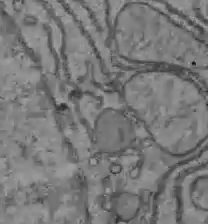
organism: C57BL Mouse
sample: Liver